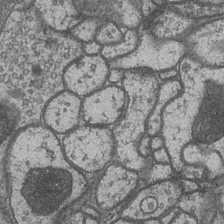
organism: Drosophila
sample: Optic medulla